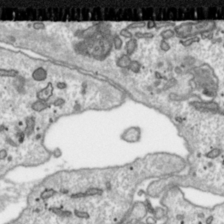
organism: Toxoplasma gondii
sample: Parasites in a vacuole inside a host cell